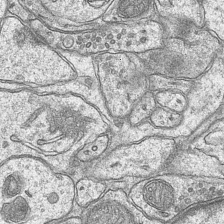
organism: Mouse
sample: CA1 Hippocampus